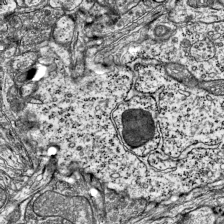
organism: Mouse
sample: Visual Cortex